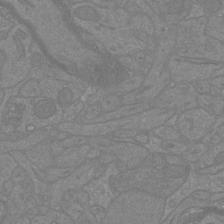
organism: Mouse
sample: Cortical neurons